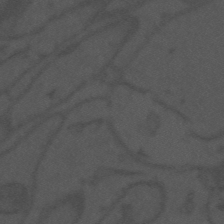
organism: Mouse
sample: Suprachiasmatic nucleus